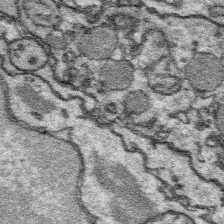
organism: Platynereis dumerilii